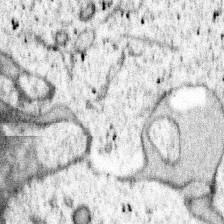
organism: Human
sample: HeLa cells